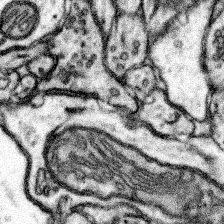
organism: Mouse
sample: Somatosensory cortex neuropil